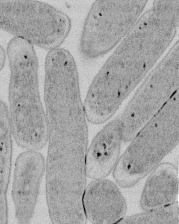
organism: E. coli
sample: Bacterial nucleoid